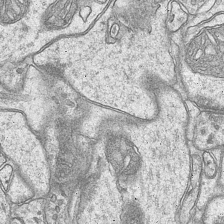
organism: Mouse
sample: CA1 Hippocampus